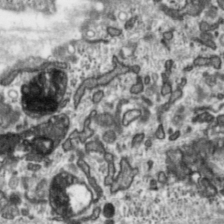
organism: Toxoplasma gondii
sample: Parasites in a vacuole inside a host cell